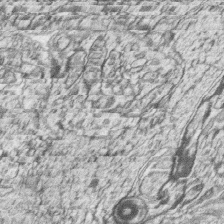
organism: Zebrafish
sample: synaptic ribbons in rod cells and cone cells